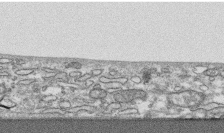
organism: Human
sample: CRL-1474